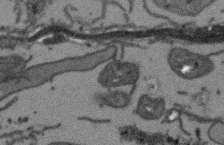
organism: Arabidopsis thaliana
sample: Root tip